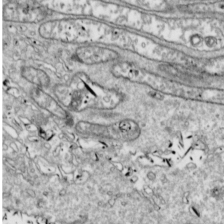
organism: Drosophila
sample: Cell division; meiosis; drosophila spermatocytes